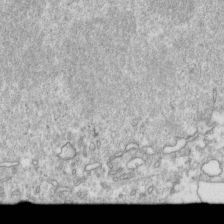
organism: Mouse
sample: Activated OT-1 CD8+ T cells